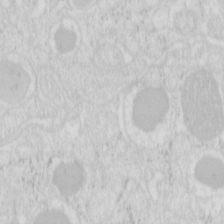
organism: Mouse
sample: Pancreas